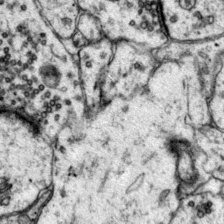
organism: Mouse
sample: Primary visual cortex